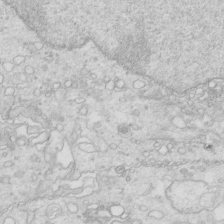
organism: Mouse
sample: Multiciliated cells